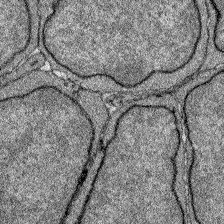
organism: Zebrafish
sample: Larval olfactory bulb